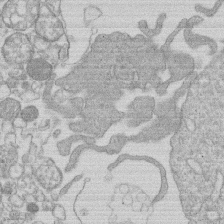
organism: Human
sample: Macrophage cells